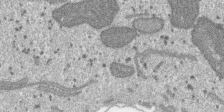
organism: Human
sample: Lung epithelial cells infected with SARS-CoV-2